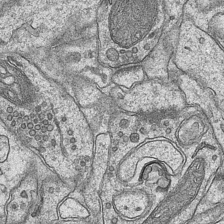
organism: Mouse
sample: CA1 Hippocampus